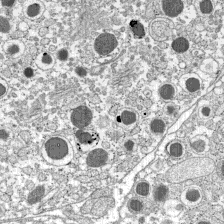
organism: C57BL Mouse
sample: Pancreatic islet